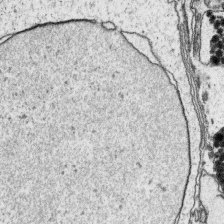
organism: Platynereis dumerilii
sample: Parapodia